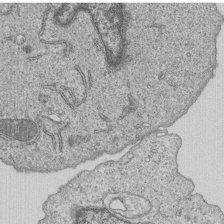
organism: Human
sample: MDA-MB-231 cells